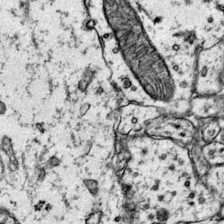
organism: Mouse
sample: Primary visual cortex